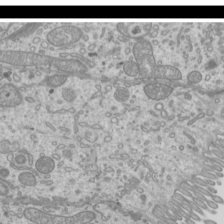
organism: Mouse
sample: Cilia; mouse epididymis